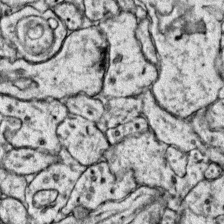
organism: Mouse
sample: Primary visual cortex